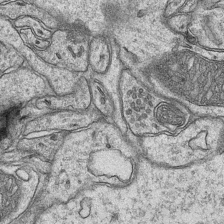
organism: Mouse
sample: CA1 Hippocampus